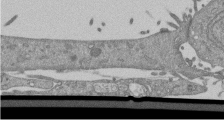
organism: Mouse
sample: ED-1 cell nuclei; centrioles